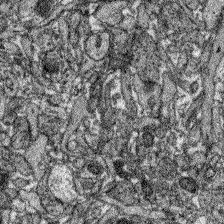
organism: Zebrafish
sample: Larval olfactory bulb